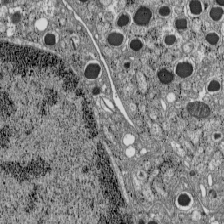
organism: C57BL Mouse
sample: Pancreatic islet